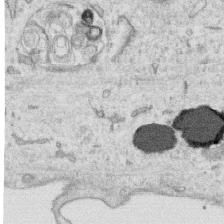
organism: Human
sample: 1205lu cells